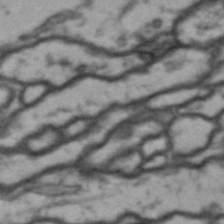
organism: Drosophila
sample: Brain